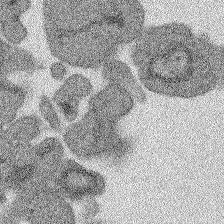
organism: Human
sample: HeLa cells